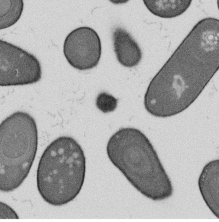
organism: B. subtilis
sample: Bacterial spore